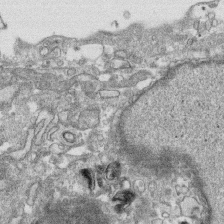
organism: Human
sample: CRL-1474